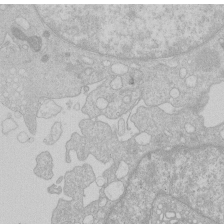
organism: Human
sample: Macrophage cells